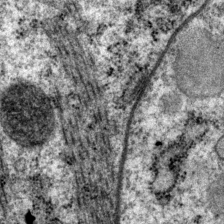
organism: P. pacificus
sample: Pharynx